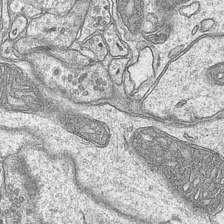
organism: Mouse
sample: CA1 Hippocampus